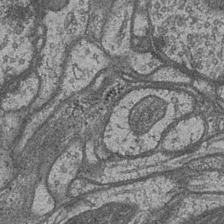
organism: Drosophila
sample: Optic medulla